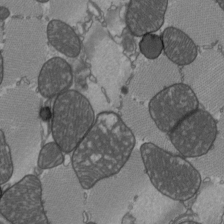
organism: C57BL Mouse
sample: Heart